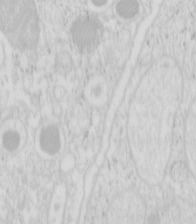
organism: Mouse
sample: Pancreas